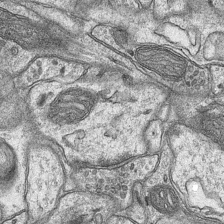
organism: Mouse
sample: CA1 Hippocampus